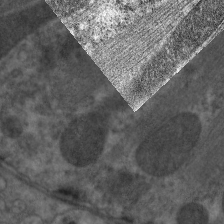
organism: C. elegans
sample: Pharynx